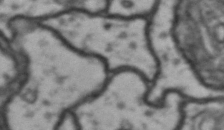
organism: Drosophila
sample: Brain